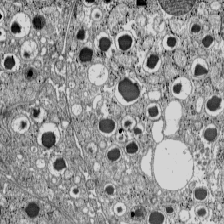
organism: C57BL Mouse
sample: Pancreatic islet